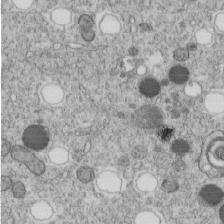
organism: C. elegans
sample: C. elegans embryo early stage